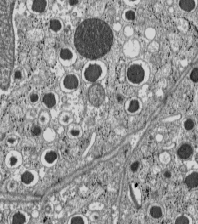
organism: C57BL Mouse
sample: Pancreatic islet